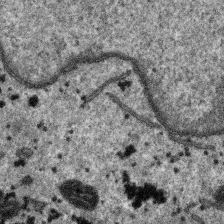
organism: Human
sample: Lung epithelial cells infected with SARS-CoV-2